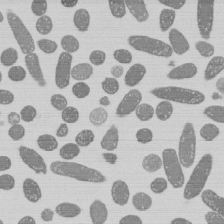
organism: E. coli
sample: Bacterial nucleoid